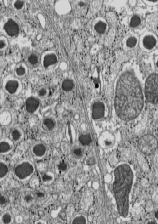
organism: C57BL Mouse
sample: Pancreatic islet